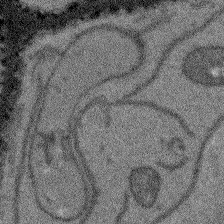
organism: Arabidopsis thaliana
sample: Root tip